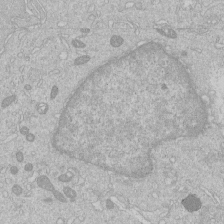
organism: Human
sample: Macrophage cells